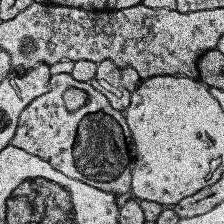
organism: Human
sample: Temporal Lobe